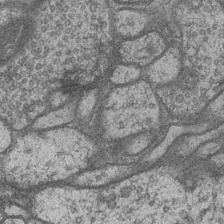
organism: Drosophila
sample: Optic medulla